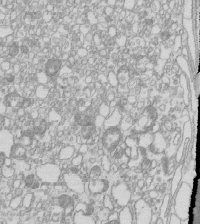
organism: Mouse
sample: Macrophages